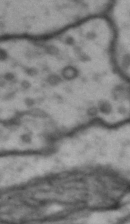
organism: Drosophila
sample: Brain